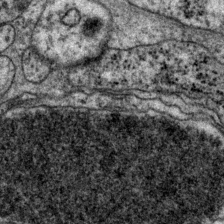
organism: P. pacificus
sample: Pharynx